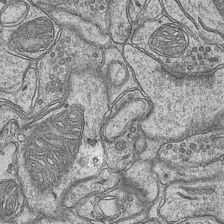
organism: Mouse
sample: CA1 Hippocampus